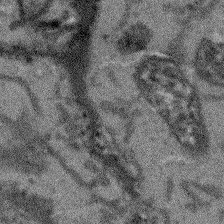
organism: Arabidopsis thaliana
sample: Root tip